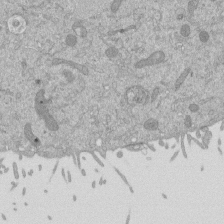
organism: Mouse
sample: ED-1 cell nuclei; centrioles